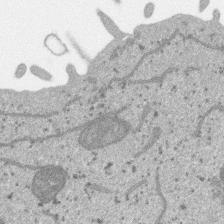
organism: Human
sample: Lung epithelial cells infected with SARS-CoV-2